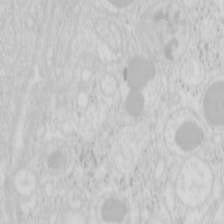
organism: Mouse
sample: Pancreas